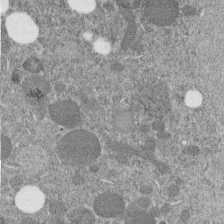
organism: C. elegans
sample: C. elegans embryo early stage